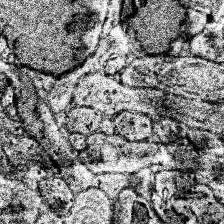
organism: Human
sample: Temporal Lobe